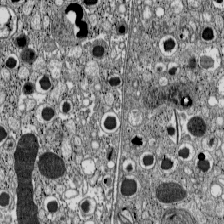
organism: C57BL Mouse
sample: Pancreatic islet